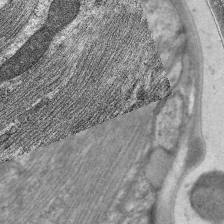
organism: C. elegans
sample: Pharynx